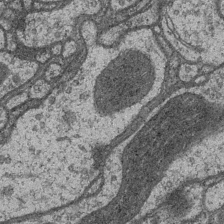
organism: Drosophila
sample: Optic medulla